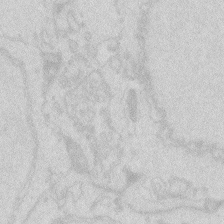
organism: Zebrafish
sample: Macrophage